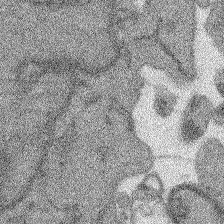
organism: Human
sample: HeLa cells